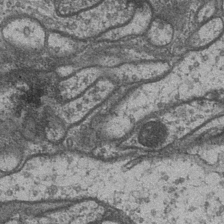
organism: Drosophila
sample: Optic medulla